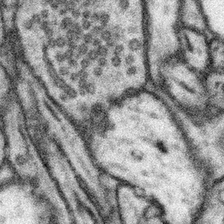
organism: Mouse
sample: Somatosensory cortex neuropil